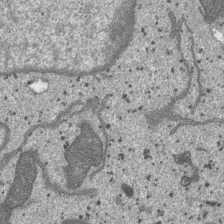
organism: Human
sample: Lung epithelial cells infected with SARS-CoV-2